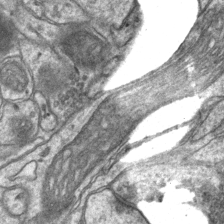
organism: Mouse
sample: CA1 Hippocampus